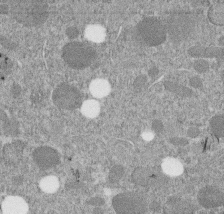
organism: C. elegans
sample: C. elegans embryo early stage